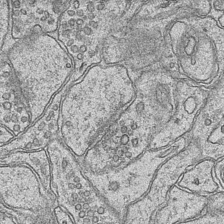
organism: Mouse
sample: CA1 Hippocampus